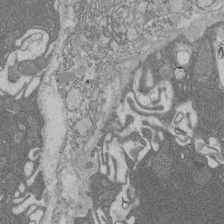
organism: Rat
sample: Salivary granule